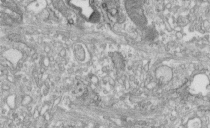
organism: Human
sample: Centriole in fibroblast cells